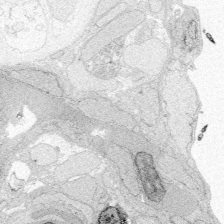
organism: Zebrafish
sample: Whole-Brain